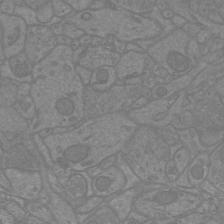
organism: Mouse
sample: Cortical neurons